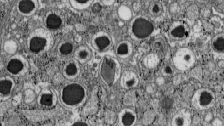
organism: C57BL Mouse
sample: Pancreatic islet